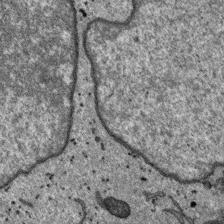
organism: Human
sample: Lung epithelial cells, uninfected (mock) control